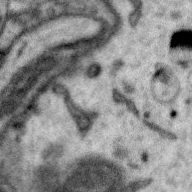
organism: Zebra finch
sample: Brain